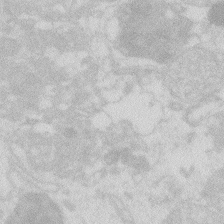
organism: Zebrafish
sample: Macrophage